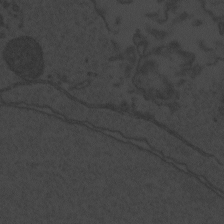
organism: Zebrafish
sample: Macrophage infected with Toxoplasma gondii